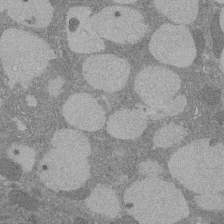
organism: Rat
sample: Salivary granule